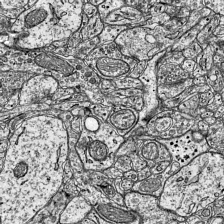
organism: Mouse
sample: Visual Cortex